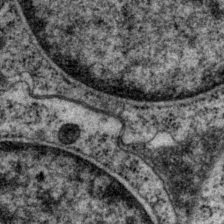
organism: P. pacificus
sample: Pharynx